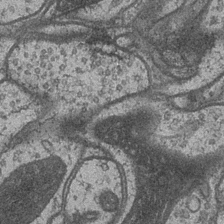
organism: Drosophila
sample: Optic medulla